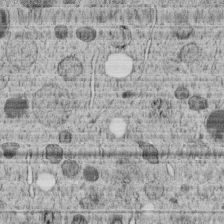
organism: C. elegans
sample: C. elegans embryo early stage